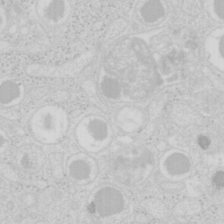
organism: Mouse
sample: Pancreas